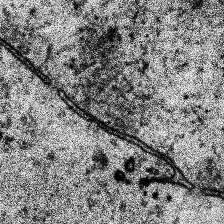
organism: Human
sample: Temporal Lobe